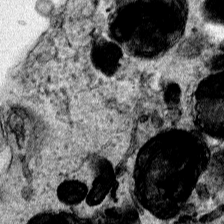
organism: Human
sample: Mitochondria in HCT116 cells